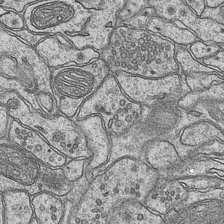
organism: Mouse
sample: CA1 Hippocampus